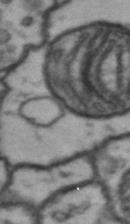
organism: Drosophila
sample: Brain